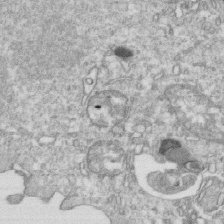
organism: Mouse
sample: Activated OT-1 CD8+ T cells